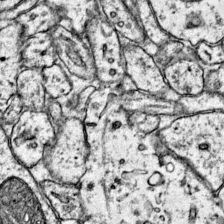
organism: Mouse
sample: Primary visual cortex